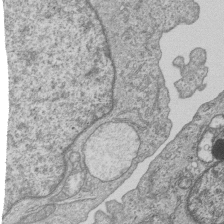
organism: Human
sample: MDA-MB-231 cells